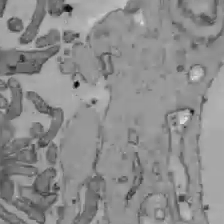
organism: C57BL Mouse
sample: Liver